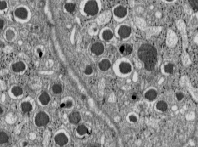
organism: C57BL Mouse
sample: Pancreatic islet